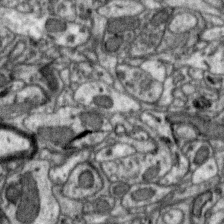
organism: Zebra finch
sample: Brain